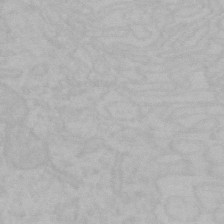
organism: Mouse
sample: Choroid plexus